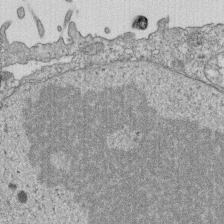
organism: Human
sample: HeLa cell HIV synapse